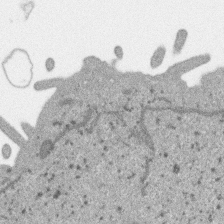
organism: Human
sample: Lung epithelial cells infected with SARS-CoV-2